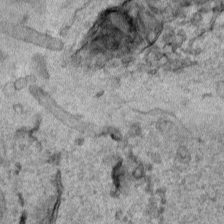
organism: Human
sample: Mitochondria in HCT116 cells